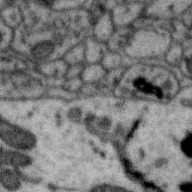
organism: Zebra finch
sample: Brain